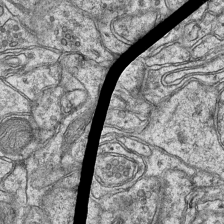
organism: Mouse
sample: CA1 Hippocampus